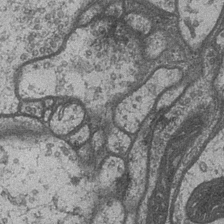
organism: Drosophila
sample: Optic medulla